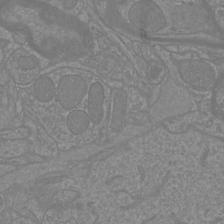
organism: Mouse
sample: Cortical neurons